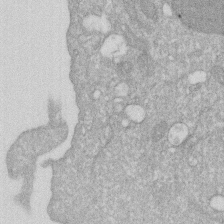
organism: Human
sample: HIV infected U937 cells